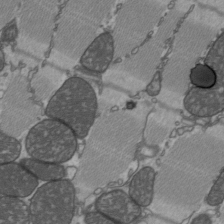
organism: C57BL Mouse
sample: Heart